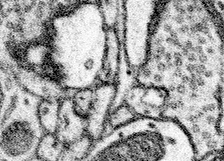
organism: Mouse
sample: Somatosensory cortex neuropil